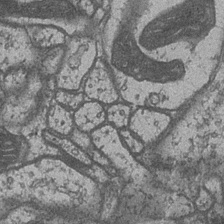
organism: Drosophila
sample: Optic medulla